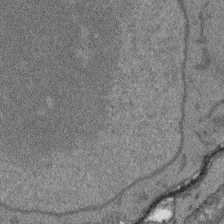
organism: Arabidopsis thaliana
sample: Root tip